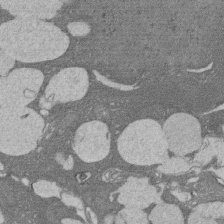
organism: Rat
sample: Salivary granule